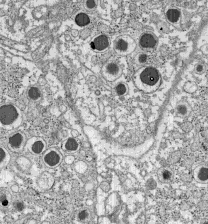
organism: C57BL Mouse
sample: Pancreatic islet